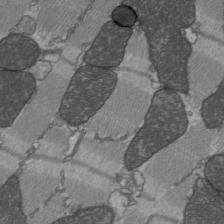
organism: C57BL Mouse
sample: Heart